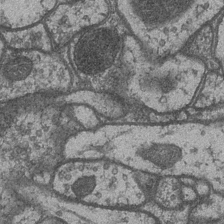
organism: Drosophila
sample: Optic medulla